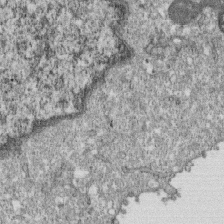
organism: African green monkey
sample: Vero E6 cells infected with SARS-CoV-2